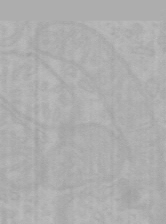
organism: Mouse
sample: Choroid plexus